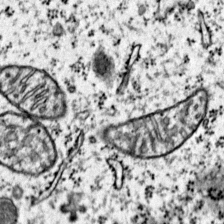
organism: Mouse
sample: Primary visual cortex